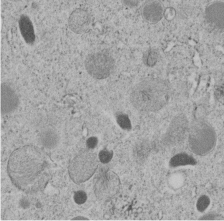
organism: C. elegans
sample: C. elegans embryo early stage